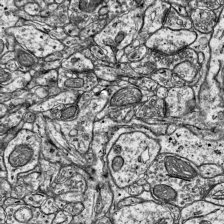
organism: Mouse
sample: Visual Cortex